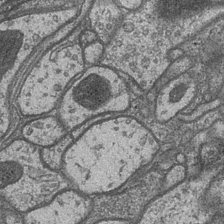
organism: Drosophila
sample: Optic medulla